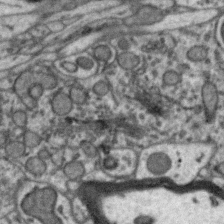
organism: Zebra finch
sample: Brain